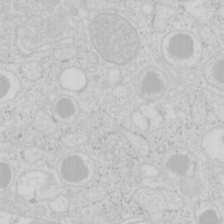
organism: Mouse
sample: Pancreas